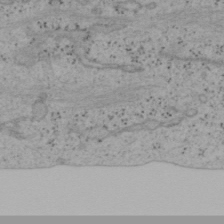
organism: Human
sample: HeLa cells